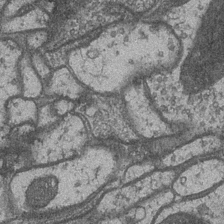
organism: Drosophila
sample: Optic medulla